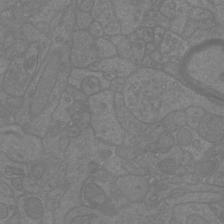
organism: Mouse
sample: Cortical neurons